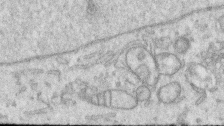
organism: Human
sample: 1205lu cells